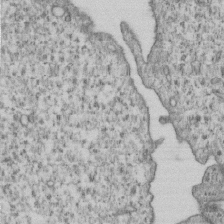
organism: Human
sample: MDA-MB-231 cells